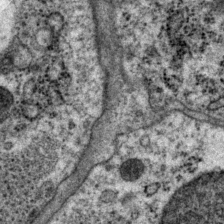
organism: P. pacificus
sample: Pharynx